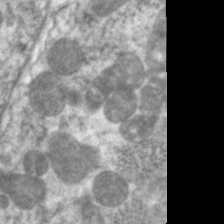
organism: C. elegans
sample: Pharynx